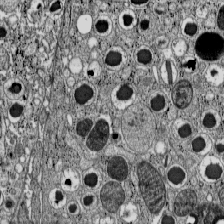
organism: C57BL Mouse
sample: Pancreatic islet